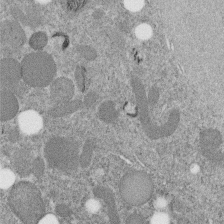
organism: C. elegans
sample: C. elegans embryo early stage